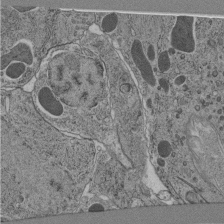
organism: C. elegans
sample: C. elegans pharynx